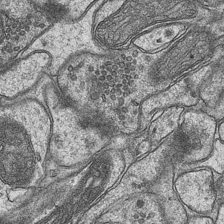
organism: Mouse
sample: CA1 Hippocampus